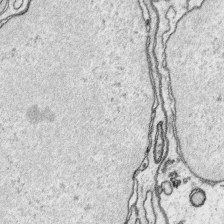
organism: Platynereis dumerilii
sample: Parapodia